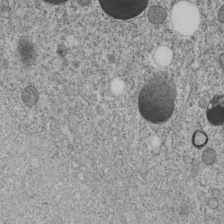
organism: C. elegans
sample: C. elegans embryo early stage